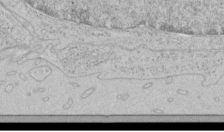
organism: Human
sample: Mitochondria in HCT116 cells